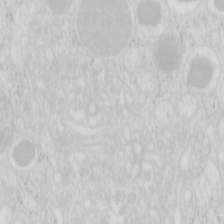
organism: Mouse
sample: Pancreas